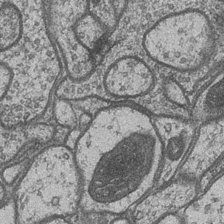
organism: Drosophila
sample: Optic medulla